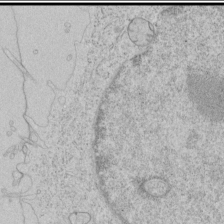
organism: Human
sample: Mitochondria in HCT116 cells